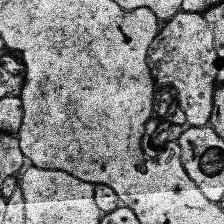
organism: Human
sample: Temporal Lobe